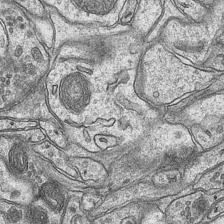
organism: Mouse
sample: CA1 Hippocampus